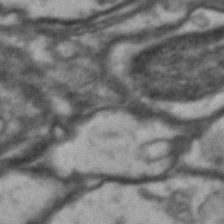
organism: Drosophila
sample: Brain